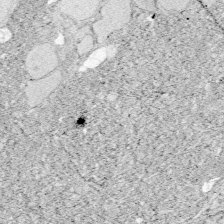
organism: Zebrafish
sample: Whole-Brain